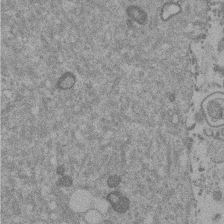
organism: Mouse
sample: Dividing mouse embryo 1 cell stage